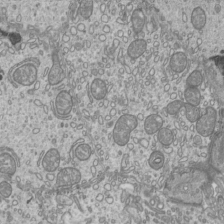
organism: Mouse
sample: Cilia; mouse epididymis